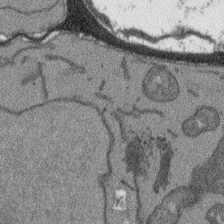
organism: Arabidopsis thaliana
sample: Root tip